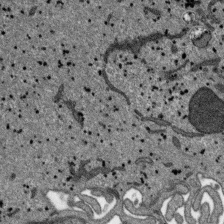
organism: Human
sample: Lung epithelial cells, uninfected (mock) control